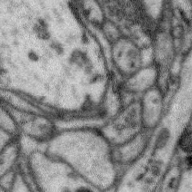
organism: Zebra finch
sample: Brain